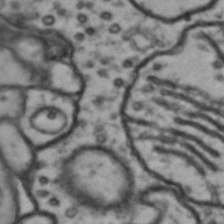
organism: Drosophila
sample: Brain